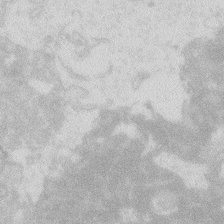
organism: Zebrafish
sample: Macrophage